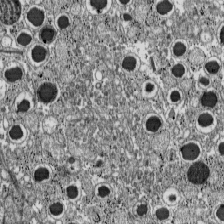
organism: C57BL Mouse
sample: Pancreatic islet